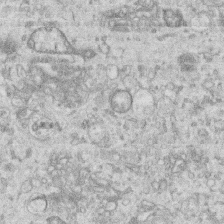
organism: Human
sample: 1205lu cells